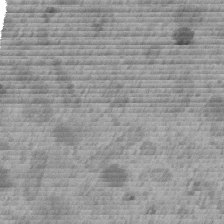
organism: C. elegans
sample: C. elegans embryo early stage